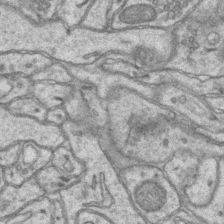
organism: Mouse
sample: CA1 Hippocampus